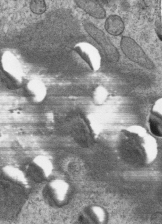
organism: C. elegans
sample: C. elegans embryo early stage